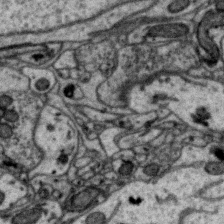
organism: Zebra finch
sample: Brain